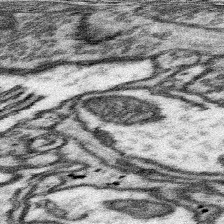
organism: Mouse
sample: Somatosensory cortex neuropil